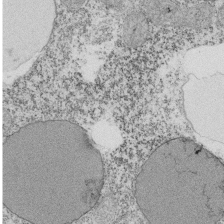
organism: Tetrahymena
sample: Cilia in tetrahymena